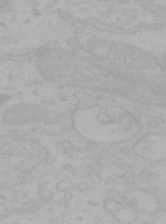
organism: Mouse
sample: Choroid plexus